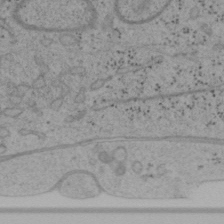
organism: Human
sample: HeLa cells